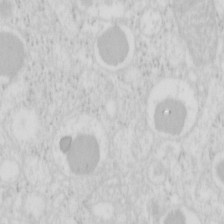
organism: Mouse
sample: Pancreas